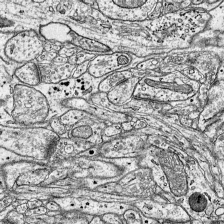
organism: Mouse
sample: Visual Cortex